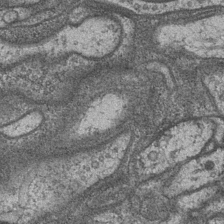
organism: Drosophila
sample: Optic medulla